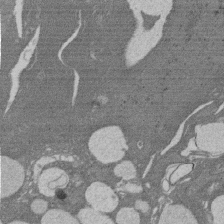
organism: Rat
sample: Salivary granule